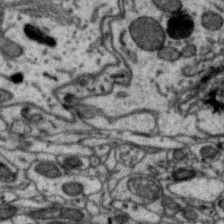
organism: Zebra finch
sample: Brain